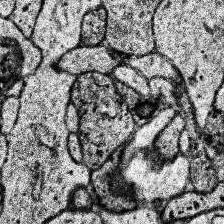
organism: Human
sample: Temporal Lobe